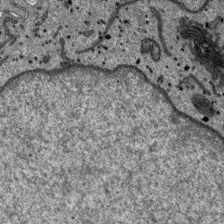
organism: Human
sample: Lung epithelial cells, uninfected (mock) control